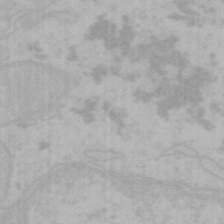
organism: Mouse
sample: Choroid plexus